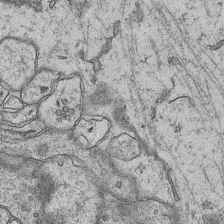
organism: Mouse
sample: CA1 Hippocampus